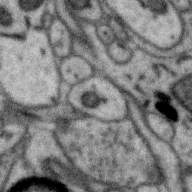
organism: Zebra finch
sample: Brain